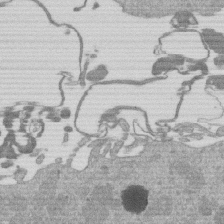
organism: Mouse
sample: Dividing mouse embryo 1 cell stage